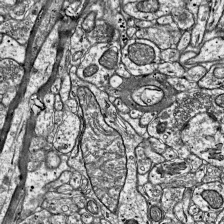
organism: Mouse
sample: Visual Cortex